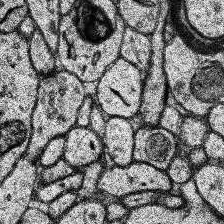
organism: Human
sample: Temporal Lobe